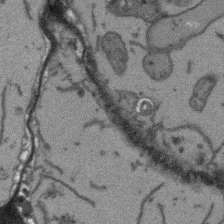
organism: Arabidopsis thaliana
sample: Root tip